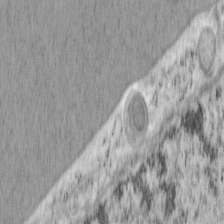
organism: Human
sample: HeLa cells